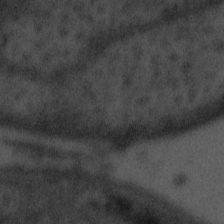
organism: Tuwongella immobilis